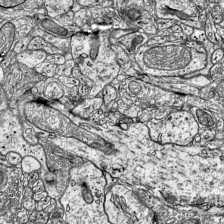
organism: Mouse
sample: Visual Cortex